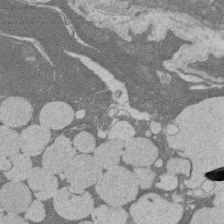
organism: Rat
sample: Salivary granule